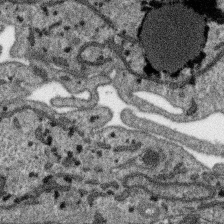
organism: Human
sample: Lung epithelial cells infected with SARS-CoV-2